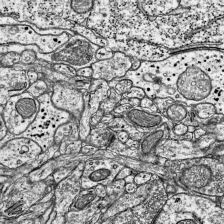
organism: Mouse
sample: Visual Cortex